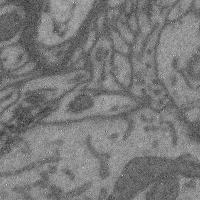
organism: Mouse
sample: Cerebral cortex